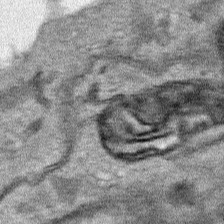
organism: Human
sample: Mitochondria in HCT116 cells